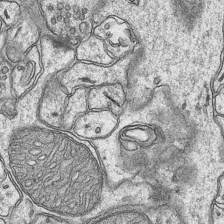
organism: Mouse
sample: CA1 Hippocampus